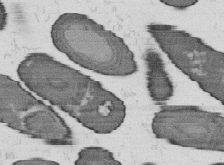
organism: B. subtilis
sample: Bacterial spore